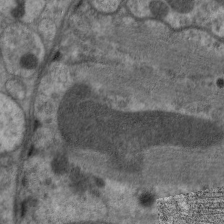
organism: C. elegans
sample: Pharynx